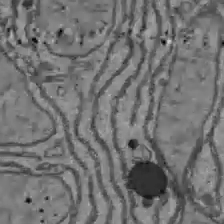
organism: C57BL Mouse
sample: Liver